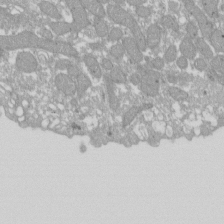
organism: Xenopus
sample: Cilia; centrioles in frog embryo cells